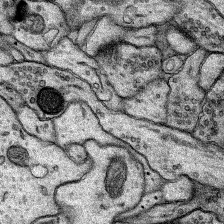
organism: Rat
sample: Hippocampus